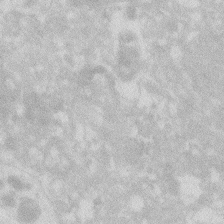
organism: Zebrafish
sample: Macrophage